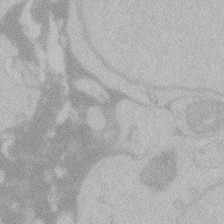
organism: Zebrafish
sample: Macrophage infected with Toxoplasma gondii